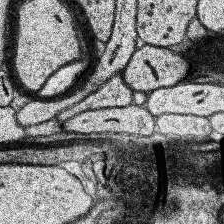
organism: Human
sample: Temporal Lobe